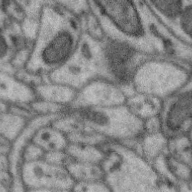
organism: Zebra finch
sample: Brain